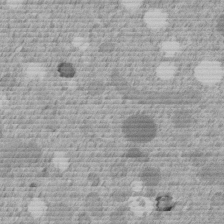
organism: C. elegans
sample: C. elegans embryo early stage